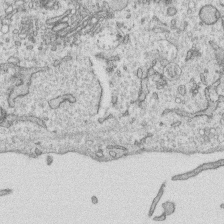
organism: Human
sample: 1205lu cells